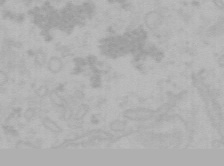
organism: Mouse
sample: Choroid plexus